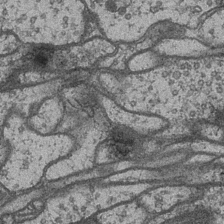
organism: Drosophila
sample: Optic medulla